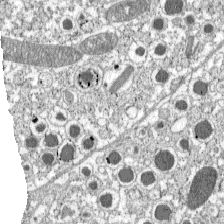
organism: C57BL Mouse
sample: Pancreatic islet